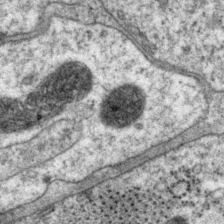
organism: P. pacificus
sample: Pharynx